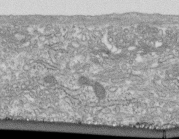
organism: Human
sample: Centriole in fibroblast cells